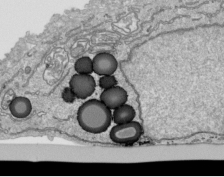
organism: Human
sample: Mitochondria in HCT116 cells